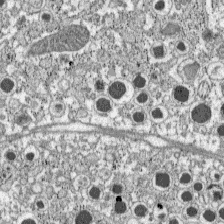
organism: C57BL Mouse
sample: Pancreatic islet